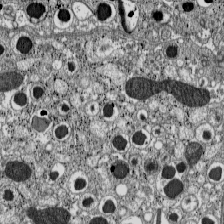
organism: C57BL Mouse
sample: Pancreatic islet